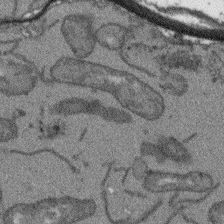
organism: Arabidopsis thaliana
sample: Root tip